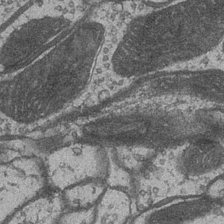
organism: Drosophila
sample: Optic medulla